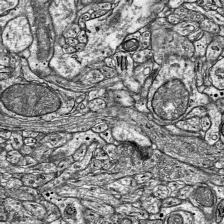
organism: Mouse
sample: Visual Cortex